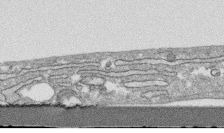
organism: Human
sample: CRL-1474